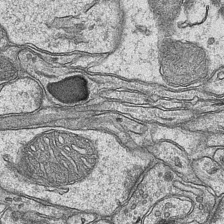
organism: Mouse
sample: CA1 Hippocampus